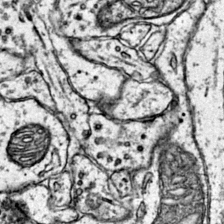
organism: Mouse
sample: Primary visual cortex